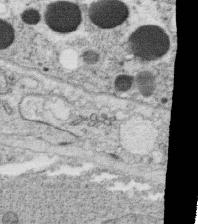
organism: C. elegans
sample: C. elegans oocyte; sperm cells